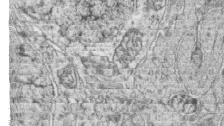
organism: Zebrafish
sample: synaptic ribbons in rod cells and cone cells